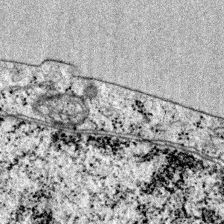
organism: Human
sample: HeLa cells